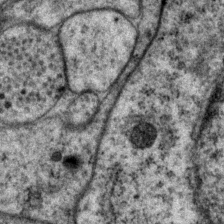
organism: P. pacificus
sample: Pharynx